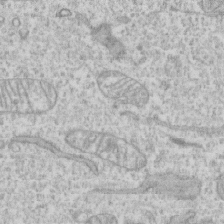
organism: Human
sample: CRL-1474